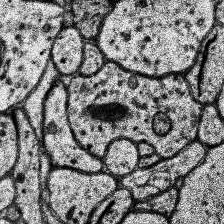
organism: Human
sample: Temporal Lobe